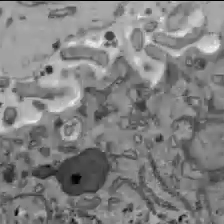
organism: C57BL Mouse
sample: Liver